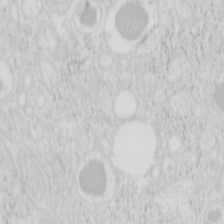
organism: Mouse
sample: Pancreas